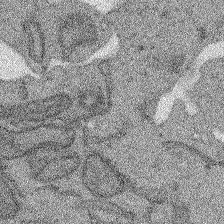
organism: Human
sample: HeLa cells